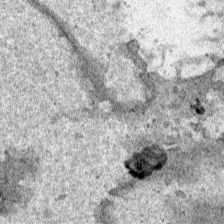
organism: Human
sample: Mitochondria in HCT116 cells